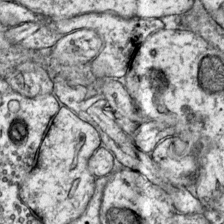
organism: Mouse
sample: Primary visual cortex